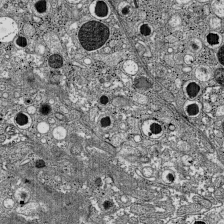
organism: C57BL Mouse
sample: Pancreatic islet